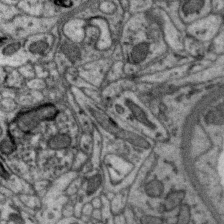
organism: Zebra finch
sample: Brain